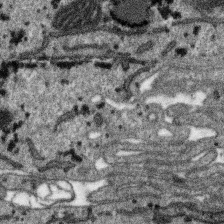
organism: Human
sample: Lung epithelial cells infected with SARS-CoV-2